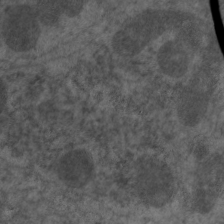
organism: C. elegans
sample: Pharynx